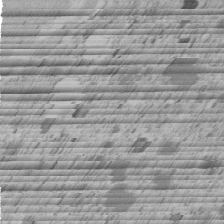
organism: C. elegans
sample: C. elegans embryo early stage